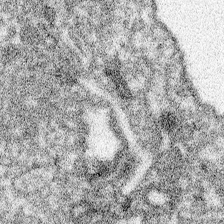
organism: Spongilla lacustris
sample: Neuroid cell